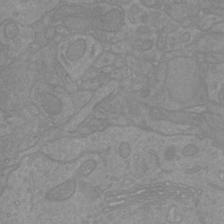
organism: Mouse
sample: Cortical neurons